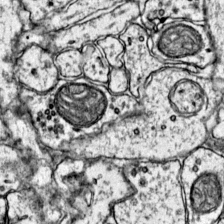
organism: Mouse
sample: Primary visual cortex